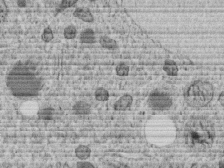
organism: C. elegans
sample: C. elegans embryo early stage